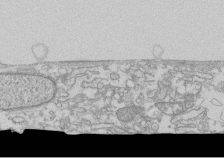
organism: Human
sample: CRL-1474